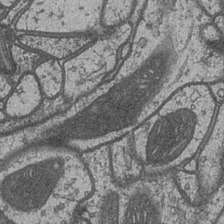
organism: Drosophila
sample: Optic medulla